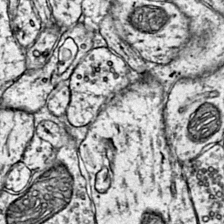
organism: Mouse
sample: Primary visual cortex